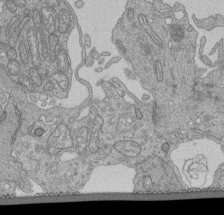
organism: Human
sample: Retinal organoid Rod and Cone cells